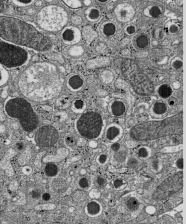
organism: C57BL Mouse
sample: Pancreatic islet